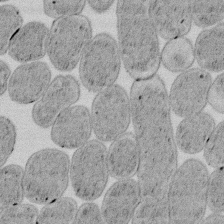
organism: E. coli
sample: Bacterial nucleoid